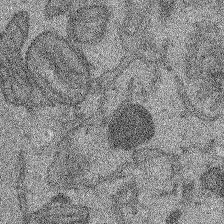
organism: Human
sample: HeLa cells